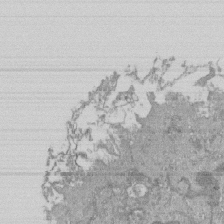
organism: Mouse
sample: ED-1 cell nuclei; centrioles